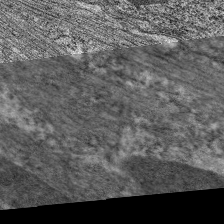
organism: C. elegans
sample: Pharynx